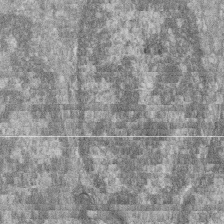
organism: Zebrafish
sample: Cilia; retinal pigment epithelium